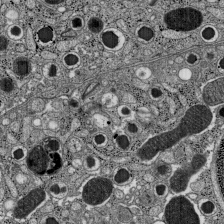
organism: C57BL Mouse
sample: Pancreatic islet